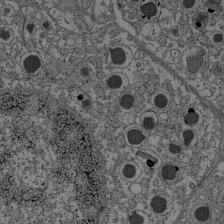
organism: C57BL Mouse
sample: Pancreatic islet